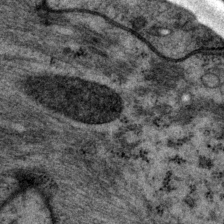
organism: P. pacificus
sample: Pharynx